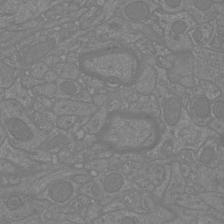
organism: Mouse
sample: Cortical neurons